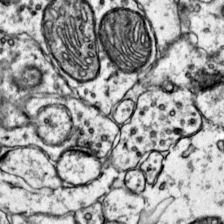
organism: Mouse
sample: Primary visual cortex